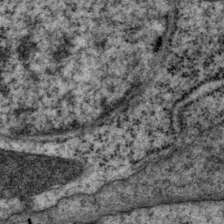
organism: P. pacificus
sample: Pharynx